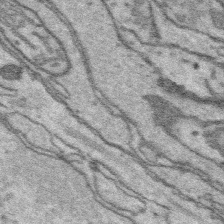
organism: Platynereis dumerilii